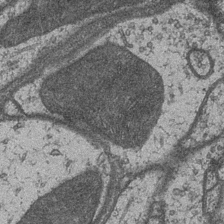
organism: Drosophila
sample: Optic medulla